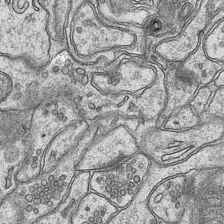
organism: Mouse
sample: CA1 Hippocampus